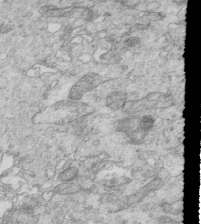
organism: Mouse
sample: Multiciliated cells